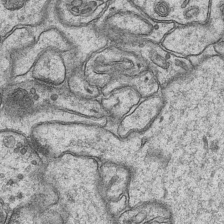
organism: Mouse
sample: CA1 Hippocampus